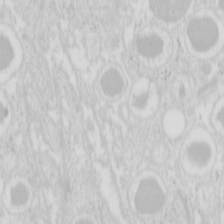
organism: Mouse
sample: Pancreas